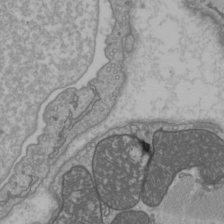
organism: C57BL Mouse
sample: Heart